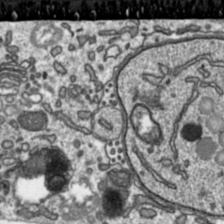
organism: Toxoplasma gondii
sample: Parasites in a vacuole inside a host cell